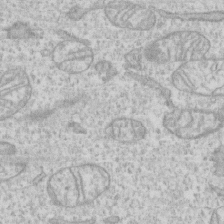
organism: Human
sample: CRL-1474